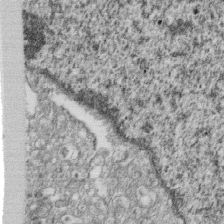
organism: African green monkey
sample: Vero E6 cells infected with SARS-CoV-2